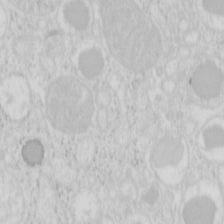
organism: Mouse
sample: Pancreas